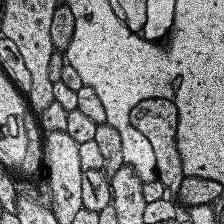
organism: Human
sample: Temporal Lobe